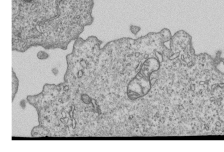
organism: Human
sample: MDA-MB-231 cells